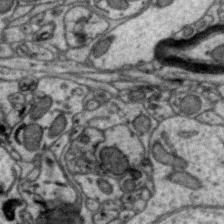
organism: Zebra finch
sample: Brain